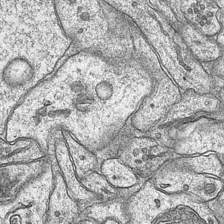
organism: Mouse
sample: CA1 Hippocampus